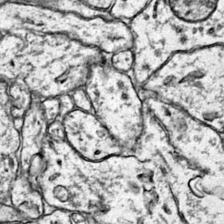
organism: Mouse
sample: Primary visual cortex